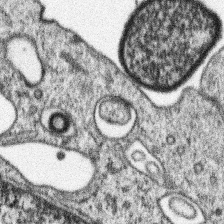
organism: Human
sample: HeLa cells